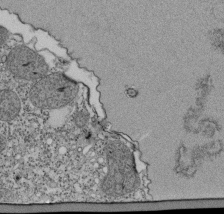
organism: Tetrahymena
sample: Cilia in tetrahymena